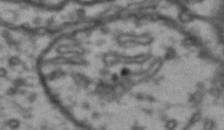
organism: Drosophila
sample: Brain